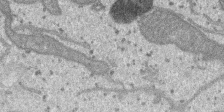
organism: Human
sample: Lung epithelial cells infected with SARS-CoV-2